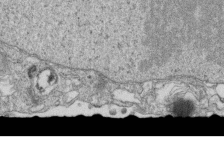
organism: Human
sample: HeLa cell HIV synapse